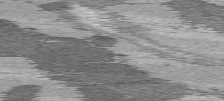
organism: C57BL Mouse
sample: Heart